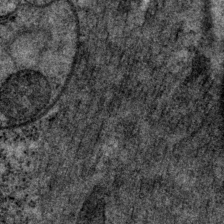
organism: P. pacificus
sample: Pharynx